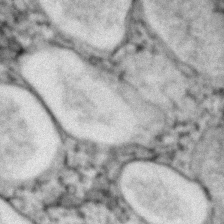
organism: Zebrafish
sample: Zebrafish embryo